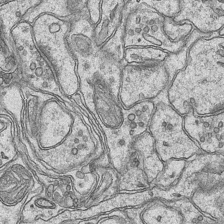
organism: Mouse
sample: CA1 Hippocampus